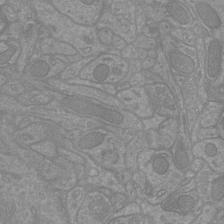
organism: Mouse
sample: Cortical neurons